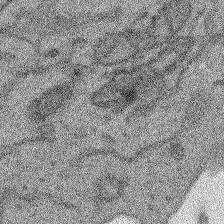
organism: Human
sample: HeLa cells